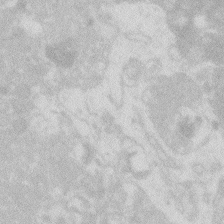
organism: Zebrafish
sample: Macrophage